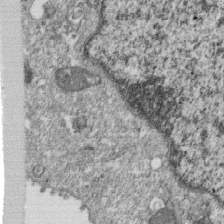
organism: African green monkey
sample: Vero E6 cells infected with SARS-CoV-2